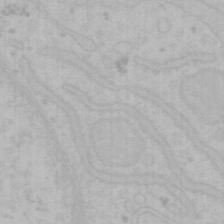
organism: Mouse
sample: Choroid plexus